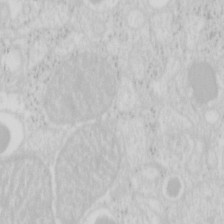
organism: Mouse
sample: Pancreas